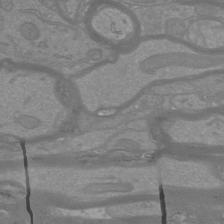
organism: Mouse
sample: Cortical neurons